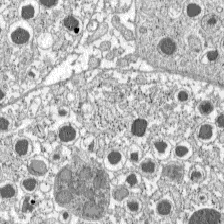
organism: C57BL Mouse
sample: Pancreatic islet